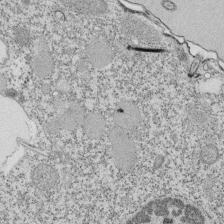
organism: Tetrahymena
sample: Cilia in tetrahymena